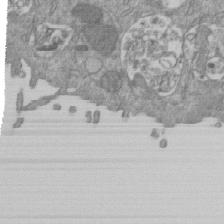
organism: Mouse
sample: ED-1 cell nuclei; centrioles